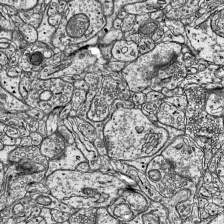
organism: Mouse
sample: Visual Cortex